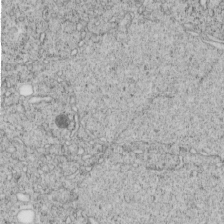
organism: C. elegans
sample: C. elegans embryo early stage